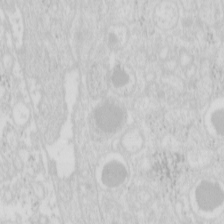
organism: Mouse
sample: Pancreas